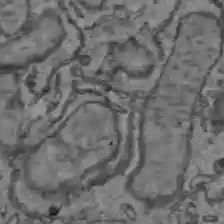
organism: C57BL Mouse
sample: Liver